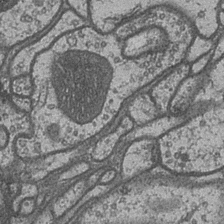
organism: Drosophila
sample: Optic medulla